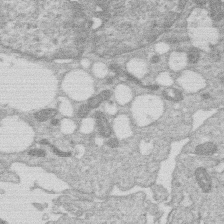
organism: Human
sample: Macrophage cells